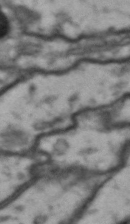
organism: Drosophila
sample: Brain